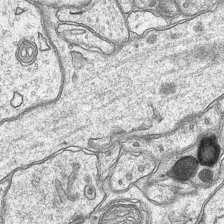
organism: Mouse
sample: CA1 Hippocampus